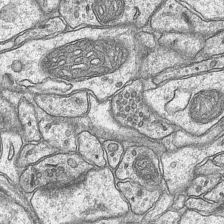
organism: Mouse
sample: CA1 Hippocampus